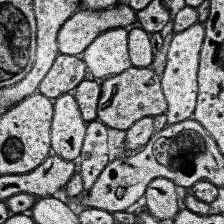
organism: Human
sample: Temporal Lobe